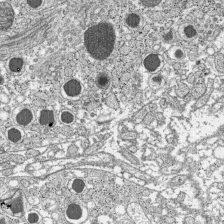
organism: C57BL Mouse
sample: Pancreatic islet